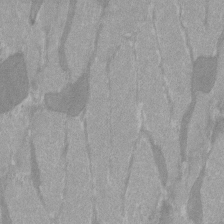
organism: C57BL Mouse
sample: Tibialis anterior muscle cell